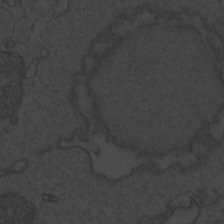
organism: Zebrafish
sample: Macrophage infected with Toxoplasma gondii